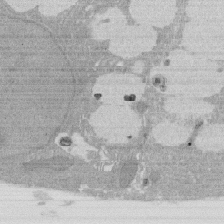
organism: Rat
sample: Salivary granule